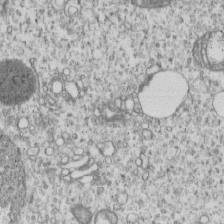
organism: Human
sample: MDA-MB-231 cells